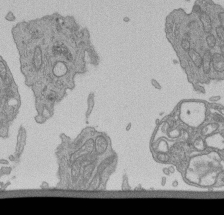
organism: Human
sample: Retinal organoid Rod and Cone cells